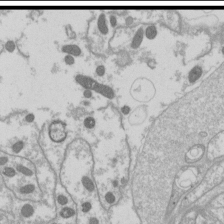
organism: Drosophila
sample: Cell division; meiosis; drosophila spermatocytes